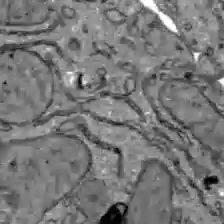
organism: C57BL Mouse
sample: Liver